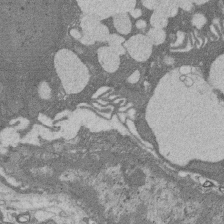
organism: Rat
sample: Salivary granule